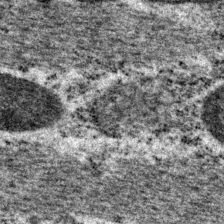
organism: P. pacificus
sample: Pharynx